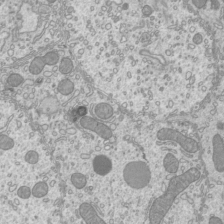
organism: Mouse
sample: Cilia; mouse epididymis